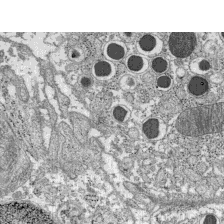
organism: C57BL Mouse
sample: Pancreatic islet